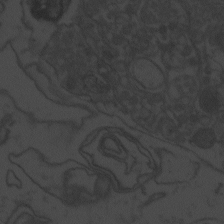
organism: Zebrafish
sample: Macrophage infected with Toxoplasma gondii